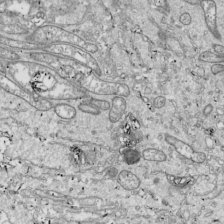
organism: Drosophila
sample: Cell division; meiosis; drosophila spermatocytes